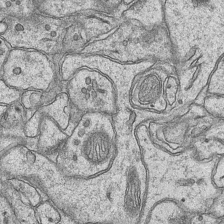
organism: Mouse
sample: CA1 Hippocampus